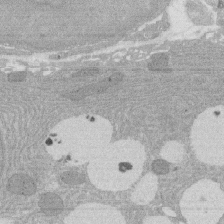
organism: Rat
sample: Salivary granule